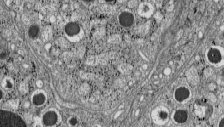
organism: C57BL Mouse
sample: Pancreatic islet